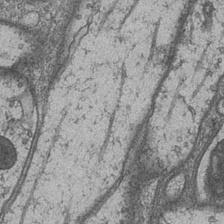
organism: Drosophila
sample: Optic medulla